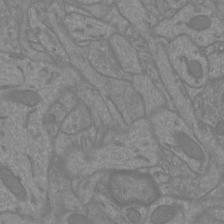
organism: Mouse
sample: Cortical neurons